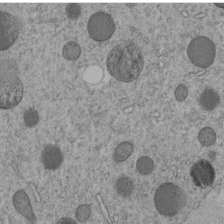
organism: C. elegans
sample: C. elegans embryo early stage